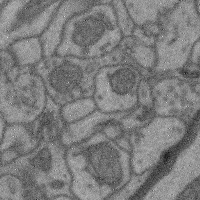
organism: Mouse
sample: Cerebral cortex